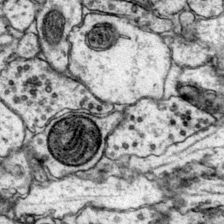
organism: Mouse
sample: Primary visual cortex